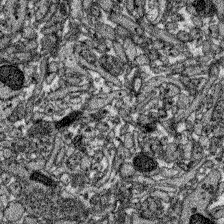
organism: Zebrafish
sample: Larval olfactory bulb